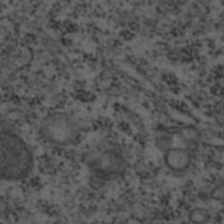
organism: C. elegans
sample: C. elegans embryo